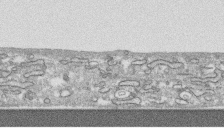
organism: Human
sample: CRL-1474